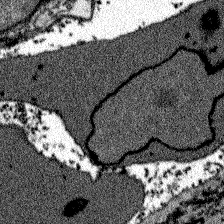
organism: Zebrafish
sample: Larval olfactory bulb